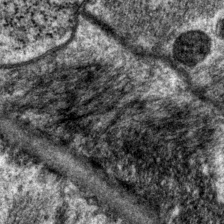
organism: P. pacificus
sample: Pharynx